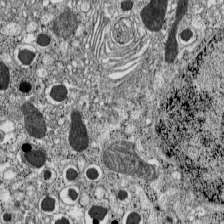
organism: C57BL Mouse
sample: Pancreatic islet